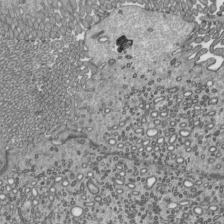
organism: Mouse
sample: Mouse epididymis efferent ductule cilia